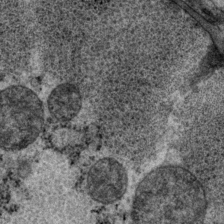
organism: P. pacificus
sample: Pharynx